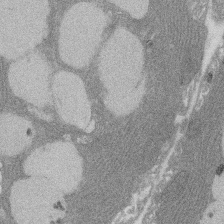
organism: Rat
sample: Salivary granule